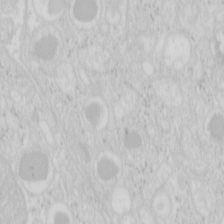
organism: Mouse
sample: Pancreas